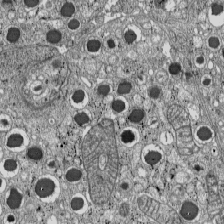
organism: C57BL Mouse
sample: Pancreatic islet